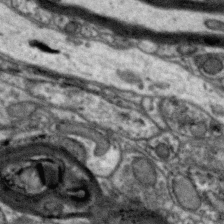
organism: Zebra finch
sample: Brain